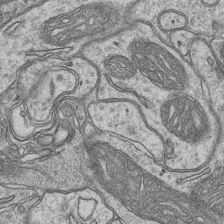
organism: Mouse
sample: CA1 Hippocampus